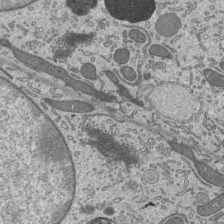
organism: Mouse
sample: Mouse epididymis efferent ductule cilia